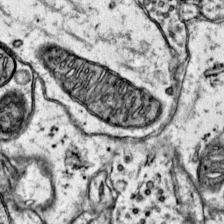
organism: Mouse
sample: Primary visual cortex